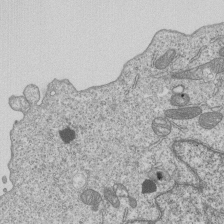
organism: Human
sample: MDA-MB-231 cells